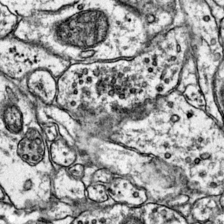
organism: Mouse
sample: Primary visual cortex